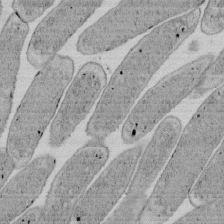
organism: E. coli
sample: Bacterial nucleoid